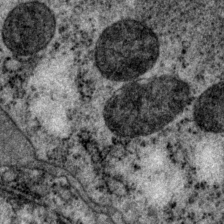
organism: P. pacificus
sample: Pharynx